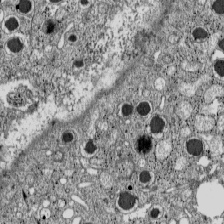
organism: C57BL Mouse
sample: Pancreatic islet